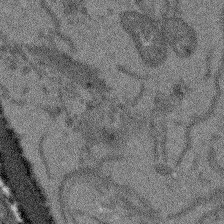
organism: Arabidopsis thaliana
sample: Root tip